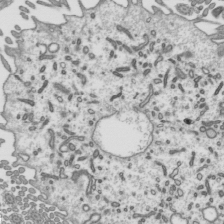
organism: Mouse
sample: Mouse epididymis efferent ductule cilia